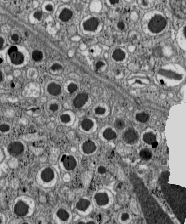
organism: C57BL Mouse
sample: Pancreatic islet